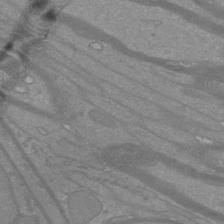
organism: Mouse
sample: Cortical neurons